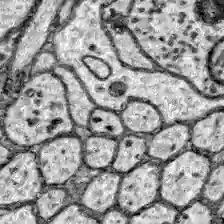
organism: Zebrafish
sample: Brain